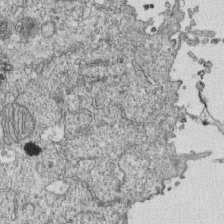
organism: Human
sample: HeLa cell HIV synapse